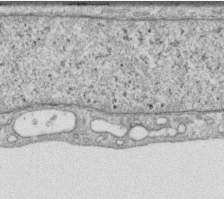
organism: Human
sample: Centriole in RPE cells